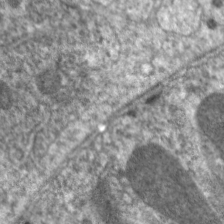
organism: C. elegans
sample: Pharynx